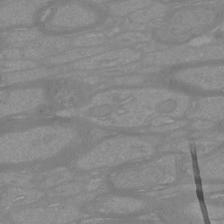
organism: Mouse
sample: Cortical neurons